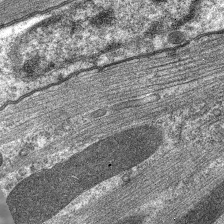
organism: C. elegans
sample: Pharynx